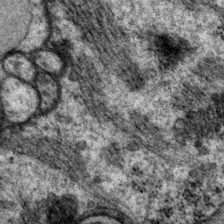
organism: P. pacificus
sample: Pharynx